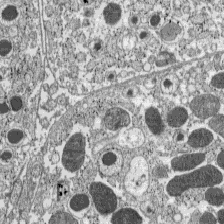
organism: C57BL Mouse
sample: Pancreatic islet